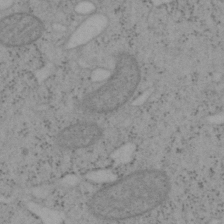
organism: Mouse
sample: OT-I killer T cells with ID8 ovarian cancer cells